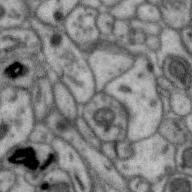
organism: Zebra finch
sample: Brain